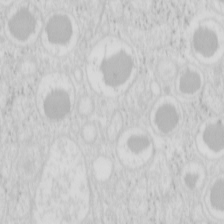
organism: Mouse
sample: Pancreas